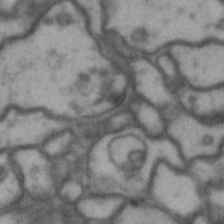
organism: Drosophila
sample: Brain